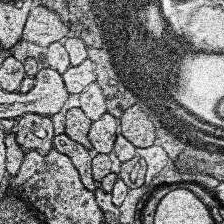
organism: Human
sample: Temporal Lobe